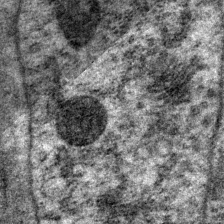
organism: P. pacificus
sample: Pharynx